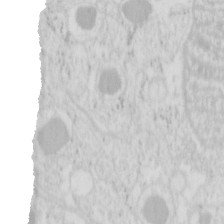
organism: Mouse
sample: Pancreas